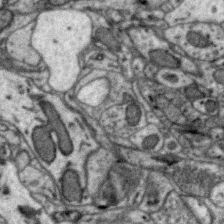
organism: Zebra finch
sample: Brain